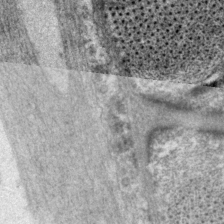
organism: P. pacificus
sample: Pharynx